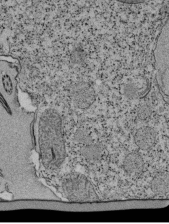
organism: Tetrahymena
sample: Cilia in tetrahymena